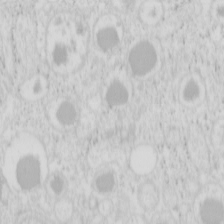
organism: Mouse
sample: Pancreas